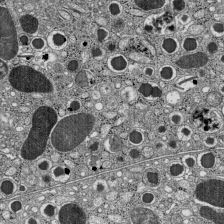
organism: C57BL Mouse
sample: Pancreatic islet